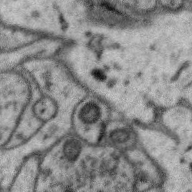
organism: Zebra finch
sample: Brain